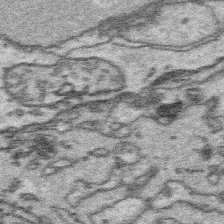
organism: Platynereis dumerilii